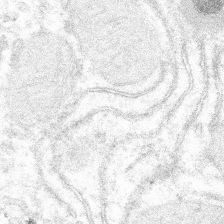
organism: Mouse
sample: Mouse hepatocytes